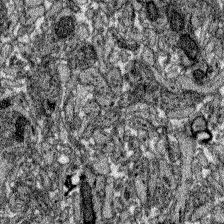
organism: Zebrafish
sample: Larval olfactory bulb